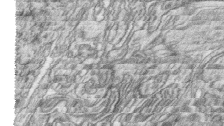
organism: Zebrafish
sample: synaptic ribbons in rod cells and cone cells